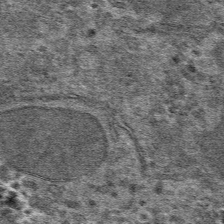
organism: Mouse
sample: Mouse hepatocytes